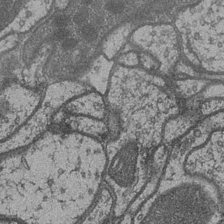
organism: Drosophila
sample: Optic medulla